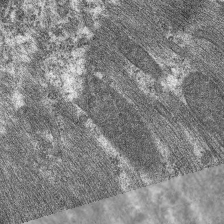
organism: C. elegans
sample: Pharynx